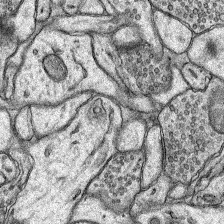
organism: Rat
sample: Hippocampus